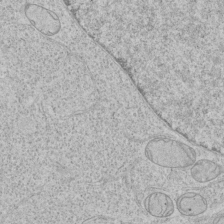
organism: Human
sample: Mitochondria in HCT116 cells